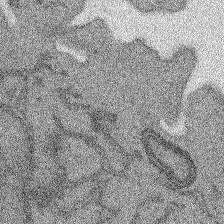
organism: Human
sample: HeLa cells